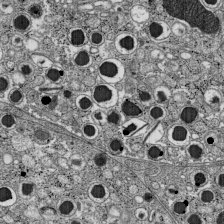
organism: C57BL Mouse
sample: Pancreatic islet